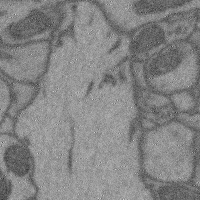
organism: Mouse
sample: Cerebral cortex